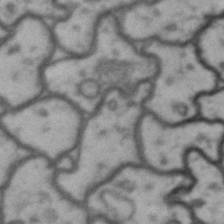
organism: Drosophila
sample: Brain